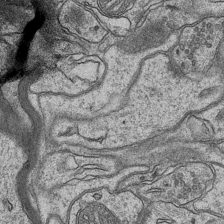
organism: Mouse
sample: CA1 Hippocampus